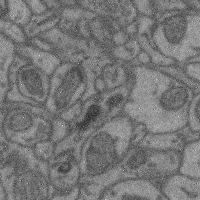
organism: Mouse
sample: Cerebral cortex